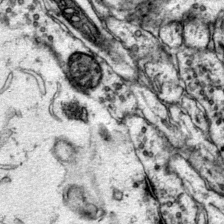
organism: Mouse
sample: Primary visual cortex